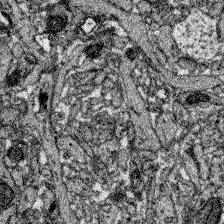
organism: Zebrafish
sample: Larval olfactory bulb